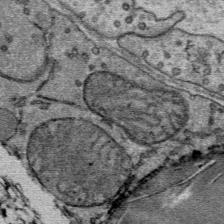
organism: Mouse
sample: Mouse Salivary gland